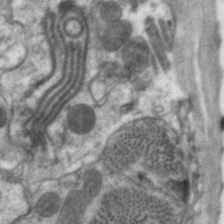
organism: C. elegans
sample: Pharynx